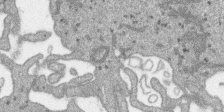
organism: Human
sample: Lung epithelial cells infected with SARS-CoV-2